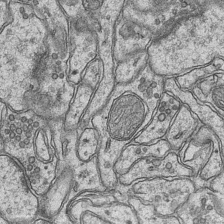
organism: Mouse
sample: CA1 Hippocampus